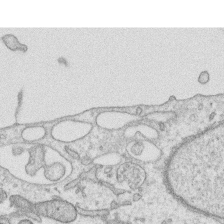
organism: Human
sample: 1205lu cells